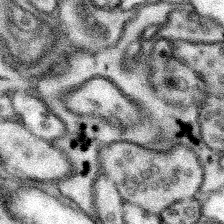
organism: Mouse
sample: Somatosensory cortex neuropil